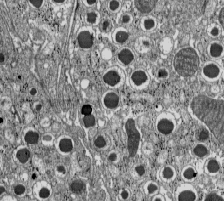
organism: C57BL Mouse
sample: Pancreatic islet